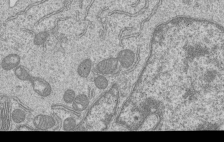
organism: Human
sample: MDA-MB-231 cells